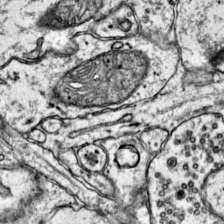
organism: Mouse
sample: Primary visual cortex